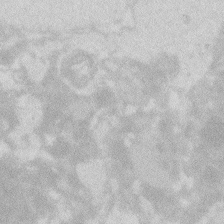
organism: Zebrafish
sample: Macrophage